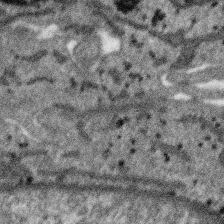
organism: Human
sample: Lung epithelial cells infected with SARS-CoV-2